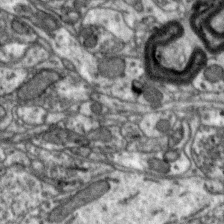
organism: Zebra finch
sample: Brain